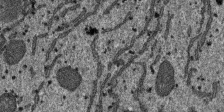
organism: Human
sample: Lung epithelial cells infected with SARS-CoV-2